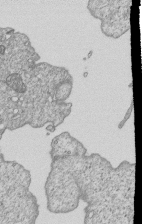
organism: Human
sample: MDA-MB-231 cells